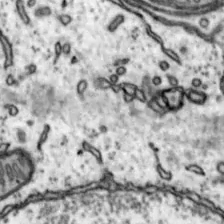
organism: Mouse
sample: Nucleus accumbens